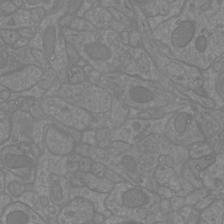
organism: Mouse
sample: Cortical neurons